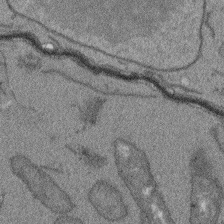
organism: Arabidopsis thaliana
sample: Root tip